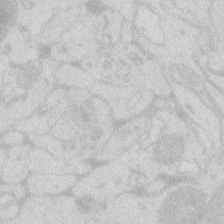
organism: Zebrafish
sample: Macrophage